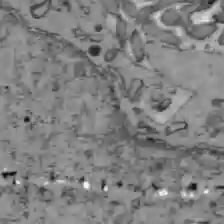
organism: C57BL Mouse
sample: Liver